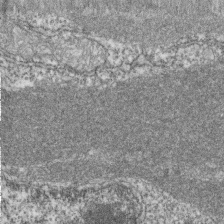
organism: Zebrafish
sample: Cilia; retinal pigment epithelium